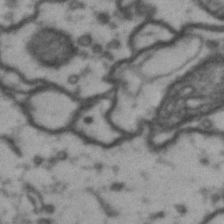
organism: Drosophila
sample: Brain